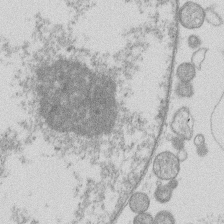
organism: Human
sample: Macrophage cells